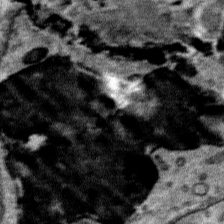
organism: Mouse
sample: Mouse Salivary gland